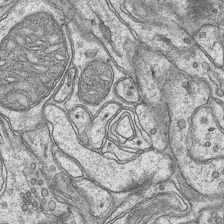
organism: Mouse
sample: CA1 Hippocampus